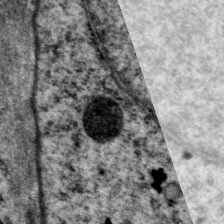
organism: P. pacificus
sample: Pharynx